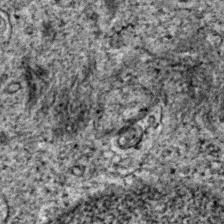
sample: Trachea